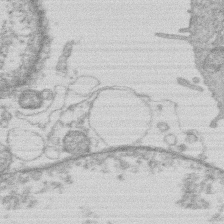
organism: Human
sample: Macrophage cells